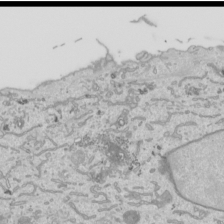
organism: Human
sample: Mitochondria in HCT116 cells